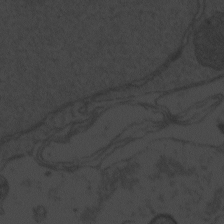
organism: Zebrafish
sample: Macrophage infected with Toxoplasma gondii